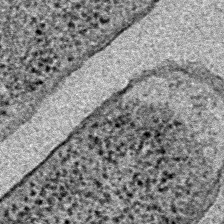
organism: E. coli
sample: E. Coli Bacteria